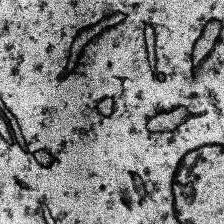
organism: Human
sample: Temporal Lobe